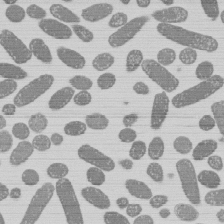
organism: E. coli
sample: Bacterial nucleoid